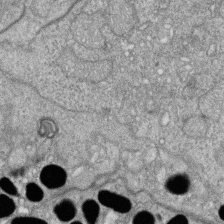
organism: Zebrafish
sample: Cilia; retinal pigment epithelium